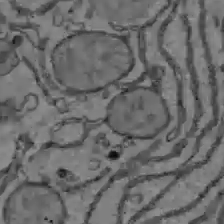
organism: C57BL Mouse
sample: Liver